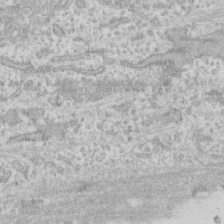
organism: Human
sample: CRL-1474